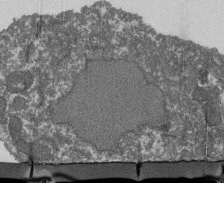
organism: Dictyostelium discoideum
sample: Dictyostelium multivesicular bodies